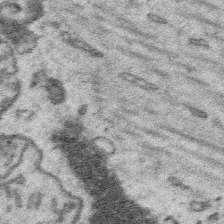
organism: Platynereis dumerilii